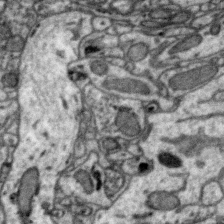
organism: Zebra finch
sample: Brain